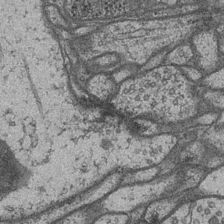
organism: Drosophila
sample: Optic medulla